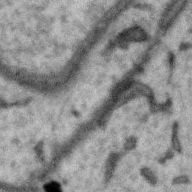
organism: Zebra finch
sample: Brain